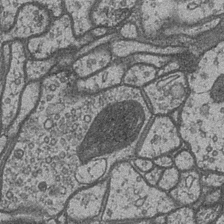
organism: Drosophila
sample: Optic medulla